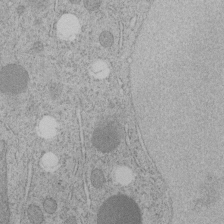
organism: C. elegans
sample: C. elegans embryo early stage